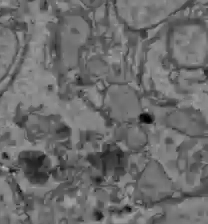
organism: C57BL Mouse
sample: Liver